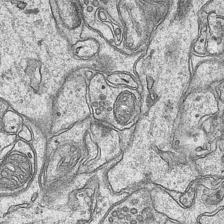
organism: Mouse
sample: CA1 Hippocampus